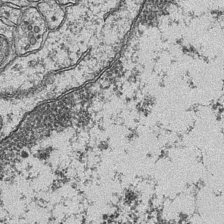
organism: Mouse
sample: CA1 Hippocampus